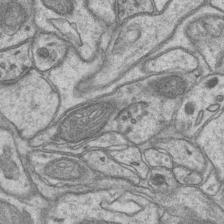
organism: Mouse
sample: CA1 Hippocampus